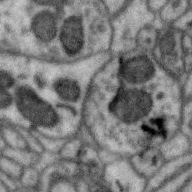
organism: Zebra finch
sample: Brain